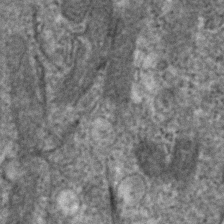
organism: Human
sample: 1205lu cells